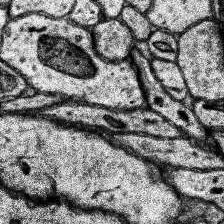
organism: Human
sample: Temporal Lobe